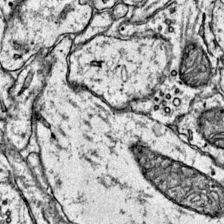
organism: Mouse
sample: Primary visual cortex